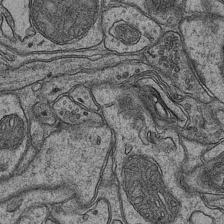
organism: Mouse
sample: CA1 Hippocampus